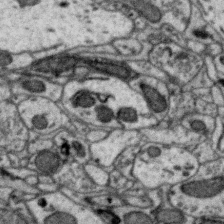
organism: Zebra finch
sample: Brain